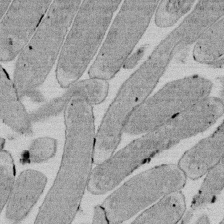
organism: E. coli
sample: Bacterial nucleoid